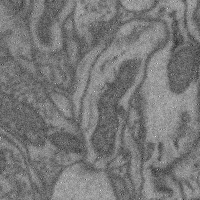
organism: Mouse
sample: Cerebral cortex